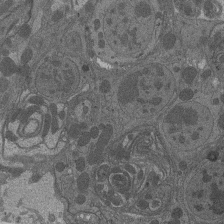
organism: Drosophila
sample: Antenna